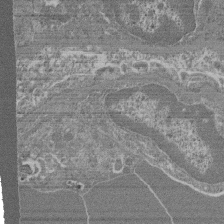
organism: Mouse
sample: Glomerulus